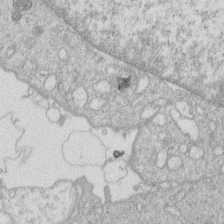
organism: Human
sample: Macrophage cells